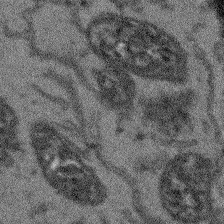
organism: Arabidopsis thaliana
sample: Root tip